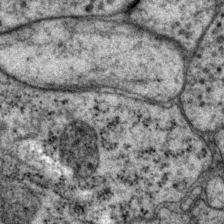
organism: P. pacificus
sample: Pharynx